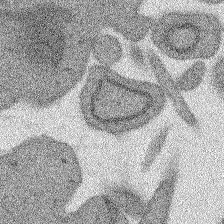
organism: Human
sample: HeLa cells